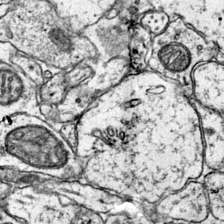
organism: Mouse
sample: Primary visual cortex